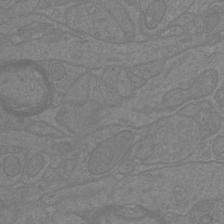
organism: Mouse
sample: Cortical neurons